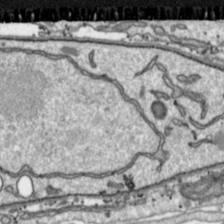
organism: Toxoplasma gondii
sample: Parasites in a vacuole inside a host cell